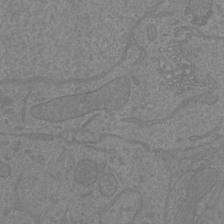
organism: Mouse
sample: Cortical neurons